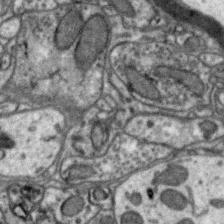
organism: Zebra finch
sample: Brain